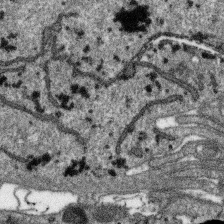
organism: Human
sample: Lung epithelial cells infected with SARS-CoV-2